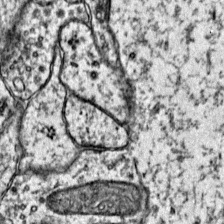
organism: Mouse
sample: Primary visual cortex